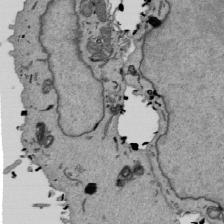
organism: Mouse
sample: ED-1 cell nuclei; centrioles